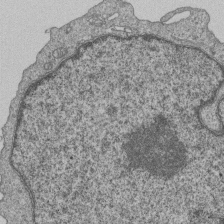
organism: Human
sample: MDA-MB-231 cells